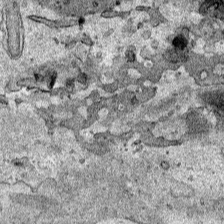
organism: Human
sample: Mitochondria in HCT116 cells